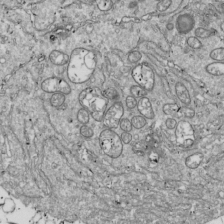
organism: Drosophila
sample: Cell division; meiosis; drosophila spermatocytes